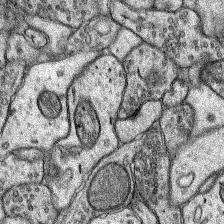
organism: Rat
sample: Hippocampus